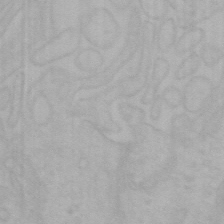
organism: Mouse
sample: Choroid plexus